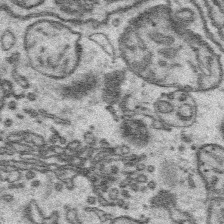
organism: Platynereis dumerilii